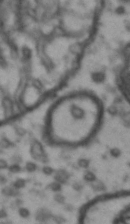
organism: Drosophila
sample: Brain